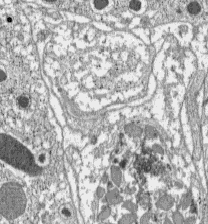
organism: C57BL Mouse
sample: Pancreatic islet